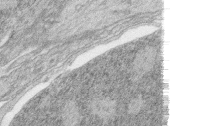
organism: Zebrafish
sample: synaptic ribbons in rod cells and cone cells